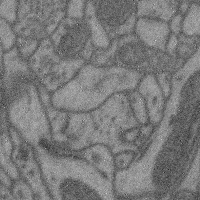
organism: Mouse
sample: Cerebral cortex